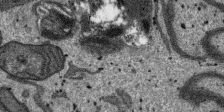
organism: Human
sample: Lung epithelial cells, uninfected (mock) control